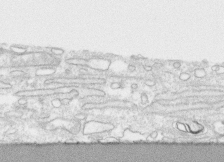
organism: Human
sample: CRL-1474